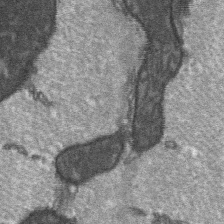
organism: C57BL Mouse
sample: Soleus